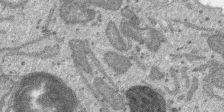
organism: Human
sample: Lung epithelial cells infected with SARS-CoV-2